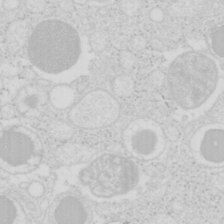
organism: Mouse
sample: Pancreas